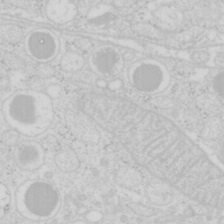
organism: Mouse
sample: Pancreas